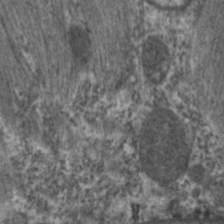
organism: C. elegans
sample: Pharynx